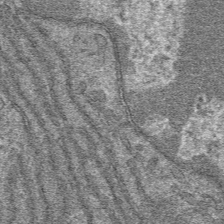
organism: Mouse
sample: Mouse hepatocytes